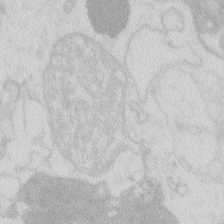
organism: Zebrafish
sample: Macrophage